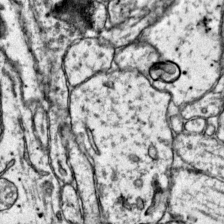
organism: Mouse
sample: Primary visual cortex